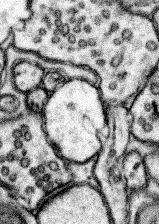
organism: Mouse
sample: Somatosensory cortex neuropil